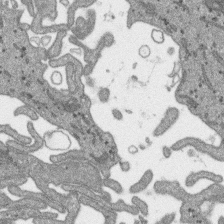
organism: Human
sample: Lung epithelial cells infected with SARS-CoV-2